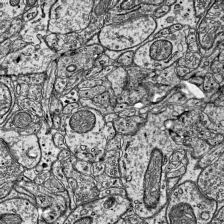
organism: Mouse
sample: Visual Cortex